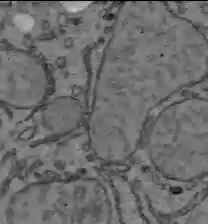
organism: C57BL Mouse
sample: Liver